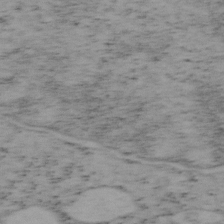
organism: Mouse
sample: OT-I killer T cells with ID8 ovarian cancer cells